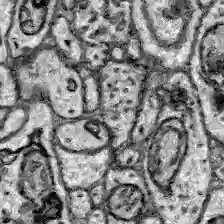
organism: Zebrafish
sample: Brain